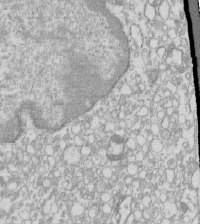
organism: Mouse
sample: Macrophages